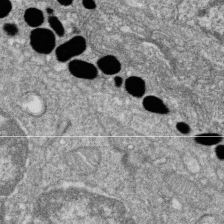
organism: Zebrafish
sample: Cilia; retinal pigment epithelium